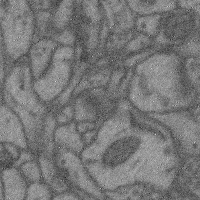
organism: Mouse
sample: Cerebral cortex